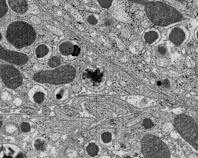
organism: C57BL Mouse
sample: Pancreatic islet